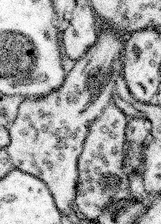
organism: Mouse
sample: Somatosensory cortex neuropil